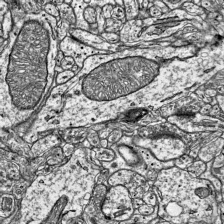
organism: Mouse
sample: Visual Cortex